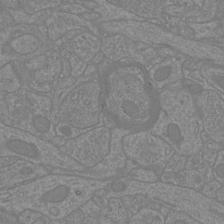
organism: Mouse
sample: Cortical neurons